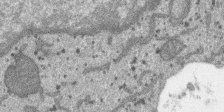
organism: Human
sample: Lung epithelial cells infected with SARS-CoV-2